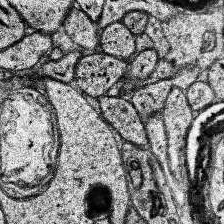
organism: Human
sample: Temporal Lobe